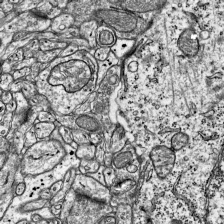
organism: Mouse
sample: Visual Cortex